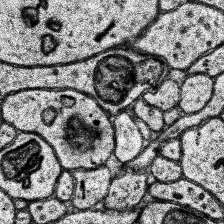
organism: Human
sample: Temporal Lobe